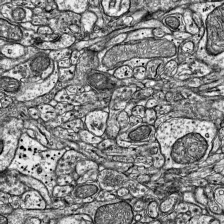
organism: Mouse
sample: Visual Cortex